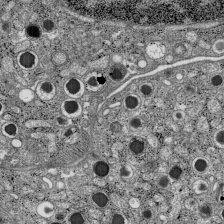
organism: C57BL Mouse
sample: Pancreatic islet